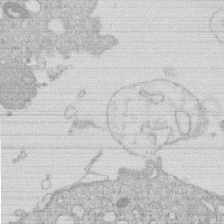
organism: Human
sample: Macrophage cells